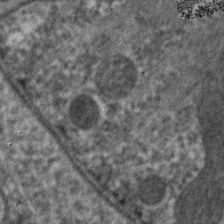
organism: C. elegans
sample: Pharynx